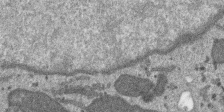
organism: Human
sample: Lung epithelial cells infected with SARS-CoV-2